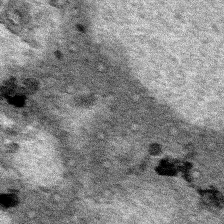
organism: Human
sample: Mitochondria in HCT116 cells